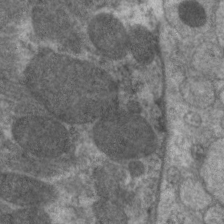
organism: C. elegans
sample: Pharynx